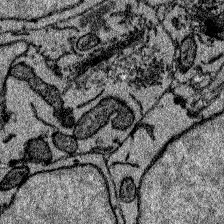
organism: Zebrafish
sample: Larval olfactory bulb